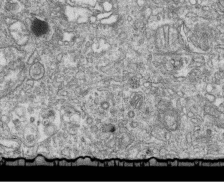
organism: Human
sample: HeLa cell HIV synapse